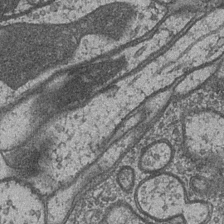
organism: Drosophila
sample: Optic medulla